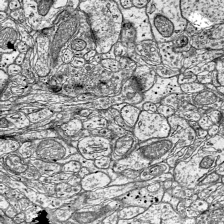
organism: Mouse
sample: Visual Cortex